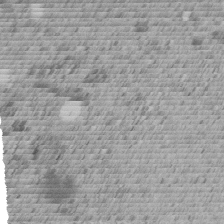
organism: C. elegans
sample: C. elegans embryo early stage